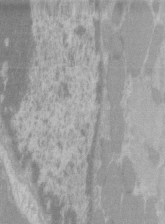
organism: C57BL Mouse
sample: Tibialis anterior muscle cell